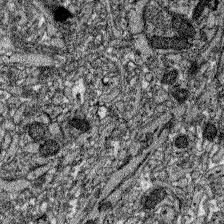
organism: Zebrafish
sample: Larval olfactory bulb